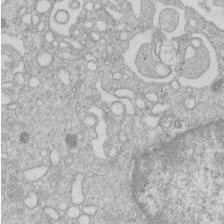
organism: Human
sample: Macrophage cells